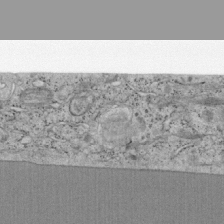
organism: Human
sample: HeLa cells